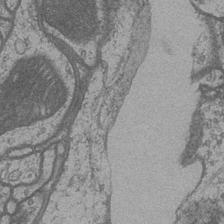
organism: Drosophila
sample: Optic medulla